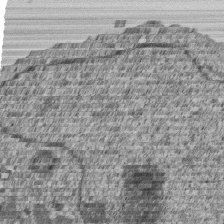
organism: Human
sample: MDA-MB-231 cells